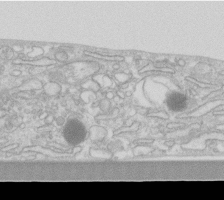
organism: Human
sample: Fibroblast cells